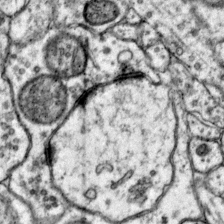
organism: Mouse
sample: Primary visual cortex